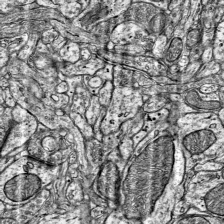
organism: Mouse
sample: Visual Cortex